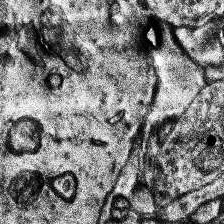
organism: Human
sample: Temporal Lobe